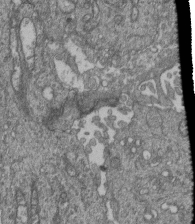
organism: Human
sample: Retinal organoid Rod and Cone cells